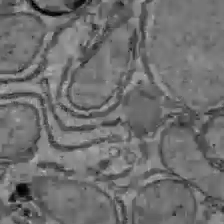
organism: C57BL Mouse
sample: Liver